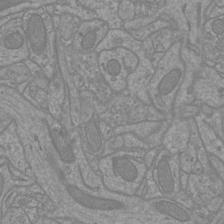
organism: Mouse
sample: Cortical neurons